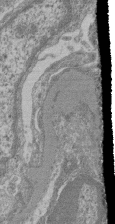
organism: Mouse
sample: Glomerulus